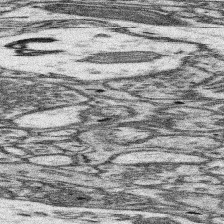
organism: Mouse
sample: Somatosensory cortex neuropil